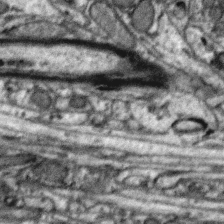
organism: Zebra finch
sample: Brain